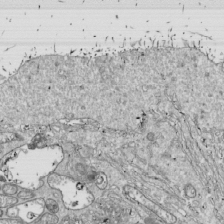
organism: Drosophila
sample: Cell division; meiosis; drosophila spermatocytes